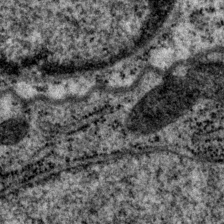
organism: P. pacificus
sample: Pharynx